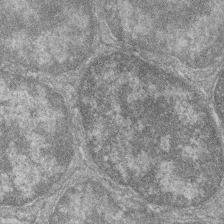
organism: Zebrafish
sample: Cilia; retinal pigment epithelium